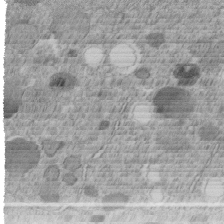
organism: C. elegans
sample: C. elegans embryo early stage